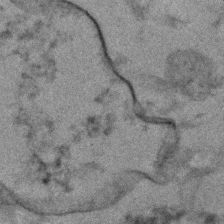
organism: Human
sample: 1205lu cells